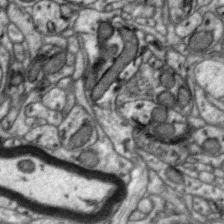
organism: Zebra finch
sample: Brain